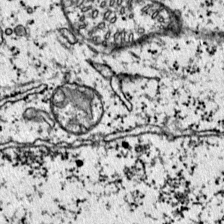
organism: Mouse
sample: Primary visual cortex